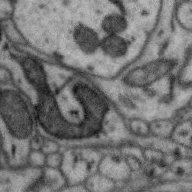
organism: Zebra finch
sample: Brain